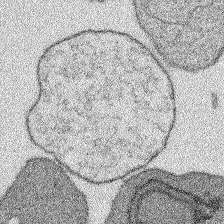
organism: Human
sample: HeLa cells